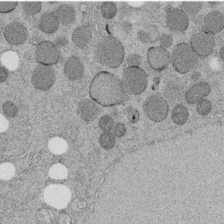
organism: C. elegans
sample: C. elegans embryo early stage